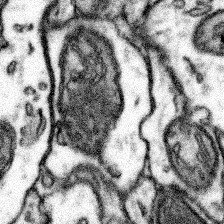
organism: Mouse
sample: Somatosensory cortex neuropil